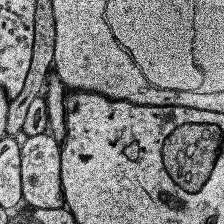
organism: Human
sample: Temporal Lobe